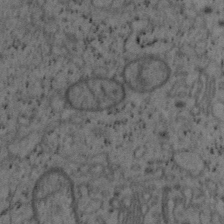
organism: Human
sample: HeLa cells